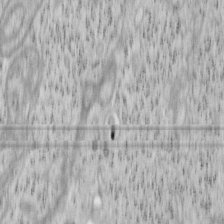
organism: Human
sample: HeLa cells